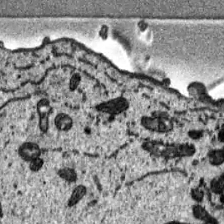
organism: Human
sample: HeLa cells